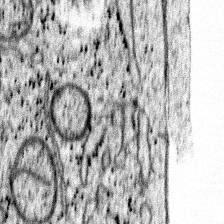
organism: Human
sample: HeLa cells